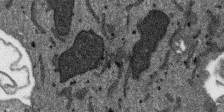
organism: Human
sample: Lung epithelial cells infected with SARS-CoV-2